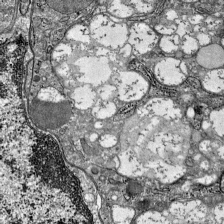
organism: Mouse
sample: Visual Cortex